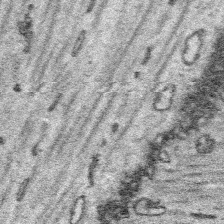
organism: Platynereis dumerilii